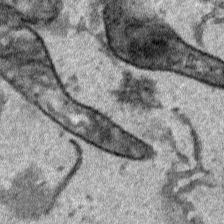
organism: Human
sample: Mitochondria in HCT116 cells